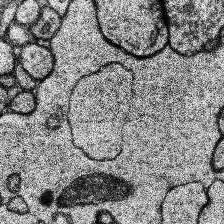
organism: Human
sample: Temporal Lobe